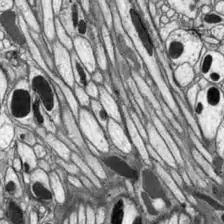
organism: Drosophila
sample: Optic lobe